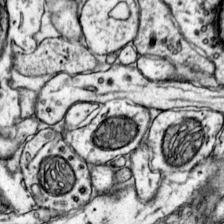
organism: Mouse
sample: Primary visual cortex